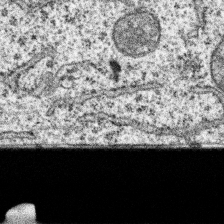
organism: Human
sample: HeLa cells